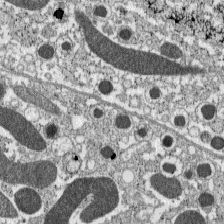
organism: C57BL Mouse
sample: Pancreatic islet